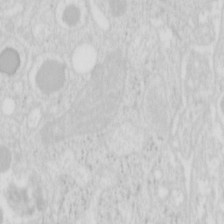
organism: Mouse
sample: Pancreas